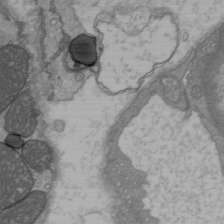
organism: C57BL Mouse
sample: Heart